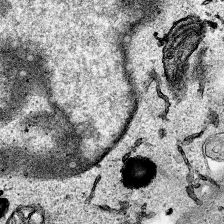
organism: Human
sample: Mitochondria in HCT116 cells